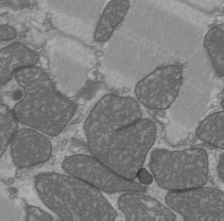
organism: C57BL Mouse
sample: Heart